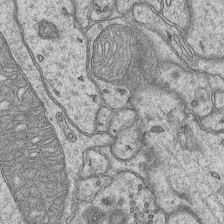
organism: Mouse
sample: CA1 Hippocampus